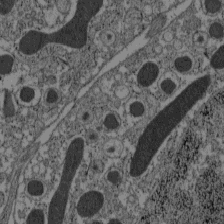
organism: C57BL Mouse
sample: Pancreatic islet